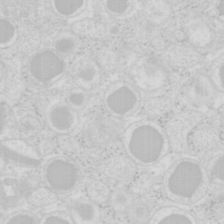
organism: Mouse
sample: Pancreas